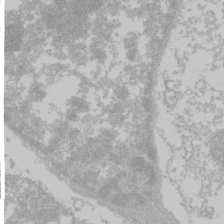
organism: Mouse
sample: Cancer cell death in ED-1 cells